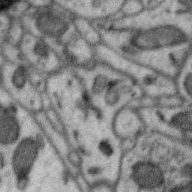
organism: Zebra finch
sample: Brain